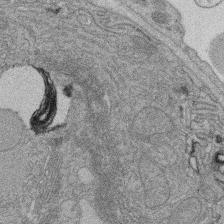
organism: Rat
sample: Salivary granule